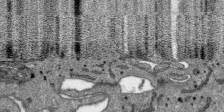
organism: Human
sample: Lung epithelial cells, uninfected (mock) control